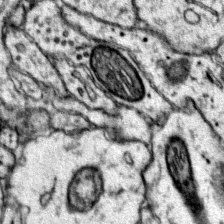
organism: Mouse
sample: Primary visual cortex